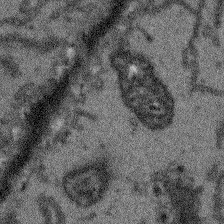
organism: Arabidopsis thaliana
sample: Root tip